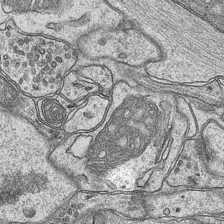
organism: Mouse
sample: CA1 Hippocampus